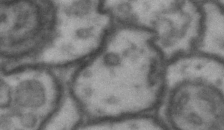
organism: Drosophila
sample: Brain